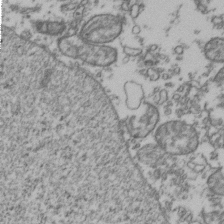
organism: Human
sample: Activated Jurkat CD4+ T cells